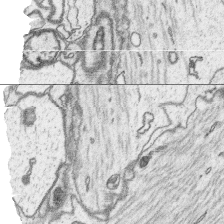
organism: Platynereis dumerilii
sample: Parapodia